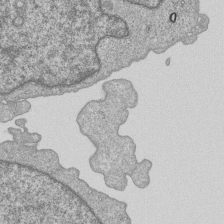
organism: Human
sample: MDA-MB-231 cells